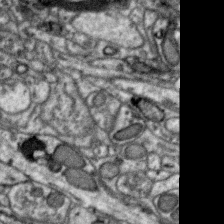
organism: Zebra finch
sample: Brain